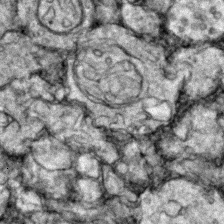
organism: Zebrafish